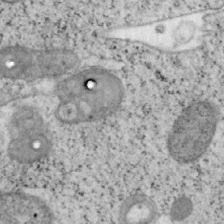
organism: Mouse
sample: OT-I killer T cells with ID8 ovarian cancer cells